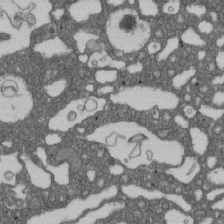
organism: Drosophila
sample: Nephrocyte